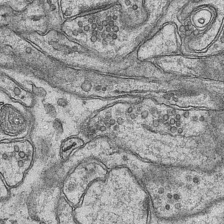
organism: Mouse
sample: CA1 Hippocampus